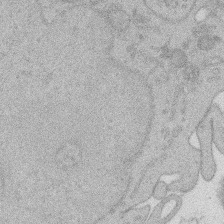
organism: Rat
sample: Salivary granule